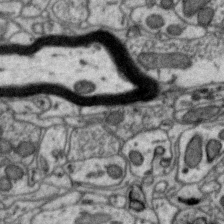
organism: Zebra finch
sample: Brain